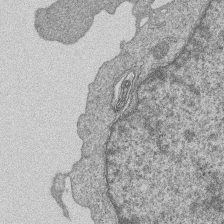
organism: Human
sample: MDA-MB-231 cells